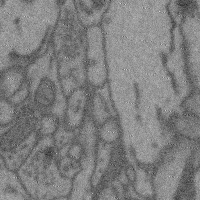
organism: Mouse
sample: Cerebral cortex